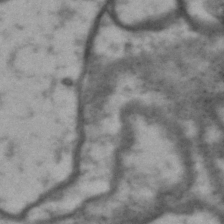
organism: Drosophila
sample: Brain